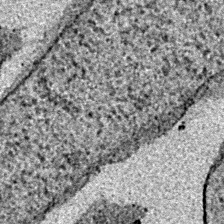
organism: E. coli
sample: E. Coli Bacteria